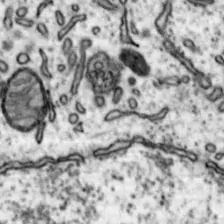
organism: Mouse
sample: Nucleus accumbens